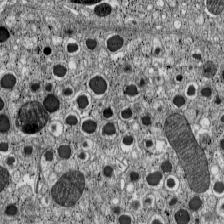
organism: C57BL Mouse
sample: Pancreatic islet